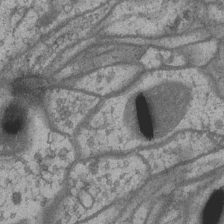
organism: Drosophila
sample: Optic medulla